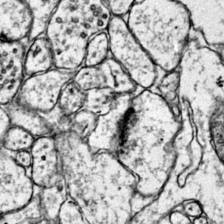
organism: Mouse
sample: Primary visual cortex